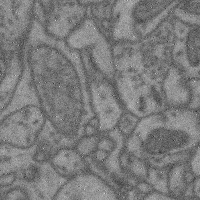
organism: Mouse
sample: Cerebral cortex